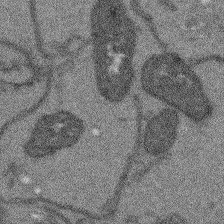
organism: Arabidopsis thaliana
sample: Root tip